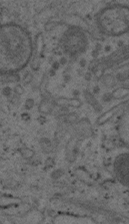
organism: Human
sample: HeLa cells